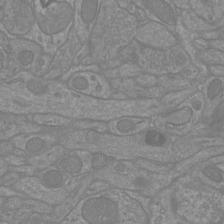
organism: Mouse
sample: Cortical neurons